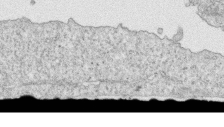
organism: Human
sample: HeLa cell HIV synapse